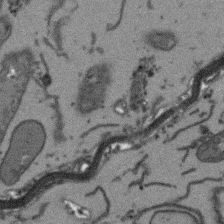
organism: Arabidopsis thaliana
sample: Root tip